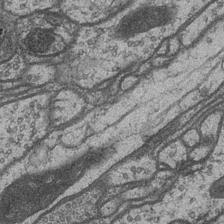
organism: Drosophila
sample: Optic medulla